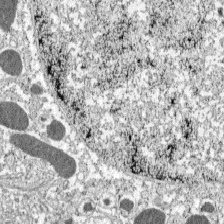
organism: C57BL Mouse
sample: Pancreatic islet